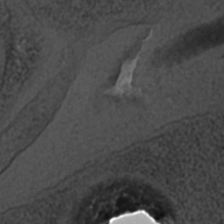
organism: C. elegans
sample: C. elegans embryo